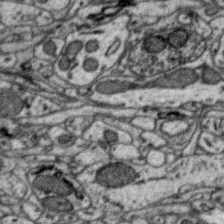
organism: Zebra finch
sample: Brain